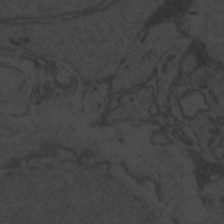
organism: Zebrafish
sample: Macrophage infected with Toxoplasma gondii